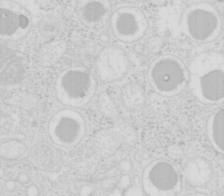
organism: Mouse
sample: Pancreas